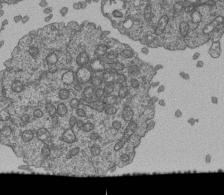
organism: Human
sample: Retinal organoid Rod and Cone cells